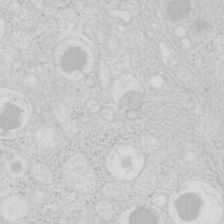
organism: Mouse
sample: Pancreas